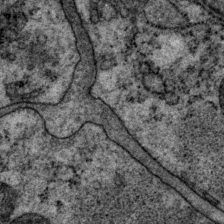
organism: P. pacificus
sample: Pharynx